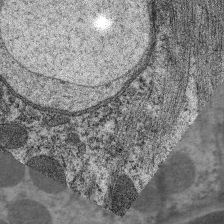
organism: C. elegans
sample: Pharynx